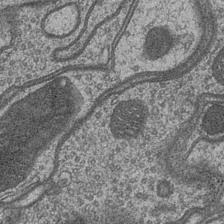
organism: Drosophila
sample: Optic medulla